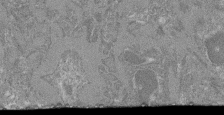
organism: Mouse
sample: Glomerulus